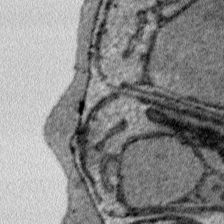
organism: Plasmodium falciparum